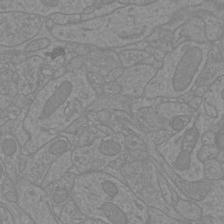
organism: Mouse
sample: Cortical neurons